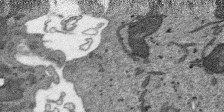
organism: Human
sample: Lung epithelial cells infected with SARS-CoV-2